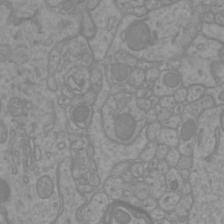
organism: Mouse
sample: Cortical neurons